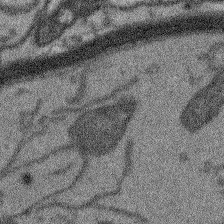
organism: Arabidopsis thaliana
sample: Root tip